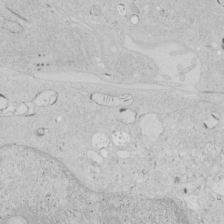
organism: Human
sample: Mitochondria in HCT116 cells